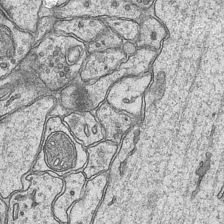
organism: Mouse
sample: CA1 Hippocampus